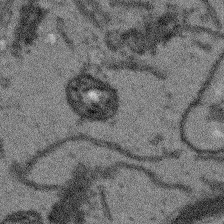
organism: Arabidopsis thaliana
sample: Root tip